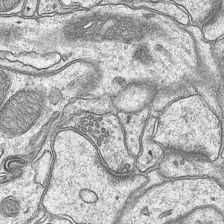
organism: Mouse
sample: CA1 Hippocampus